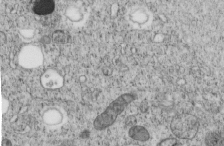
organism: C. elegans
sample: C. elegans embryo early stage